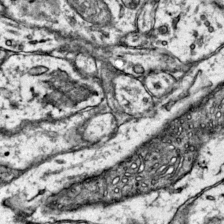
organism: Mouse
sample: Primary visual cortex